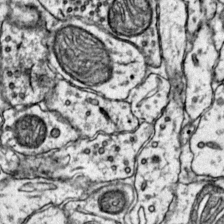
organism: Mouse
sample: Primary visual cortex